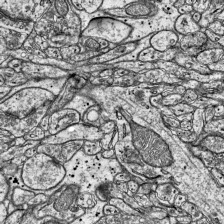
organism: Mouse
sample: Visual Cortex